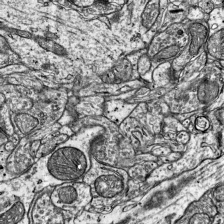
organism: Mouse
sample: Visual Cortex